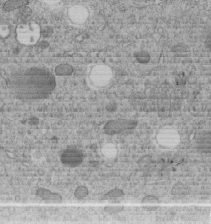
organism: C. elegans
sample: C. elegans embryo early stage